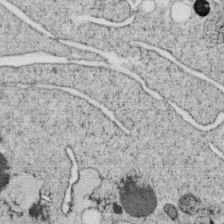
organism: C. elegans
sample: C. elegans oocyte; sperm cells